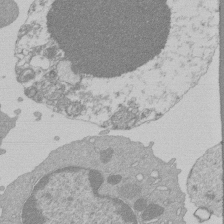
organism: Mouse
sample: Activated Pmel transgenic CD8+ T Cells